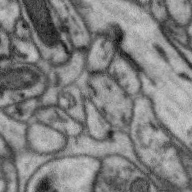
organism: Zebra finch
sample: Brain